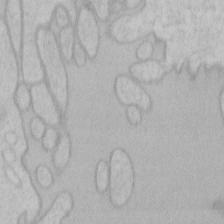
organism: Human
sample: HeLa cells